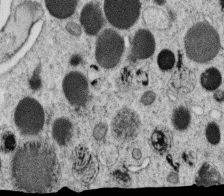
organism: C. elegans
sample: C. elegans oocyte; sperm cells